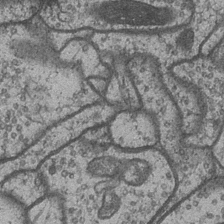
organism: Drosophila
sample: Optic medulla